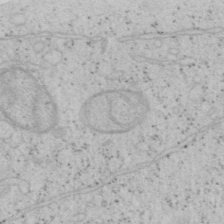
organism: Human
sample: HeLa cells